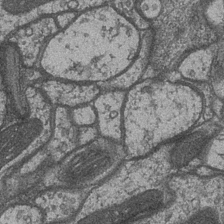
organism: Drosophila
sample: Optic medulla